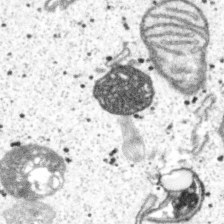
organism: Human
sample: HeLa cells